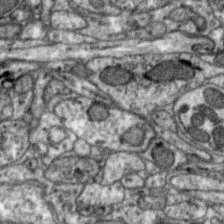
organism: Zebra finch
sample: Brain